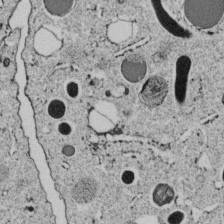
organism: C. elegans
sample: C. elegans embryo early stage